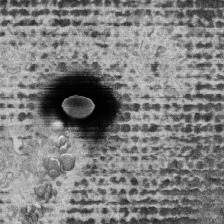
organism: Human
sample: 1205lu cells